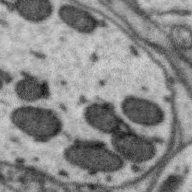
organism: Zebra finch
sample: Brain